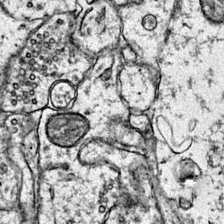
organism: Mouse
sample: Primary visual cortex